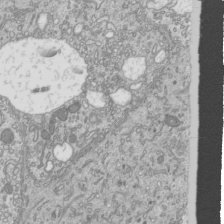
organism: Mouse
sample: Cilia; mouse epididymis